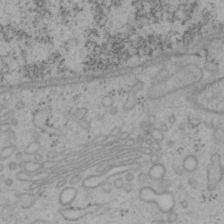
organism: Human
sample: HeLa cells